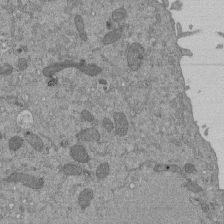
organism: Mouse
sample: ED-1 cell nuclei; centrioles